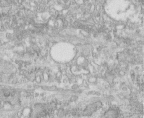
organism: Human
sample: Centriole in fibroblast cells